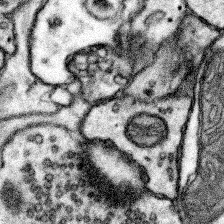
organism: Mouse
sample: Somatosensory cortex neuropil